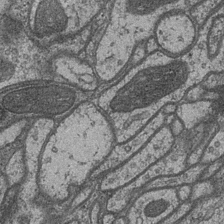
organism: Drosophila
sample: Optic medulla